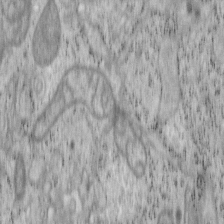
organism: Human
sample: HeLa cells